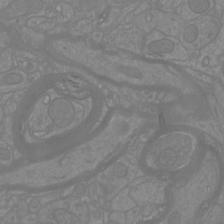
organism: Mouse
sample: Cortical neurons